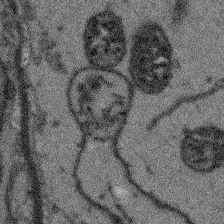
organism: Arabidopsis thaliana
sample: Root tip